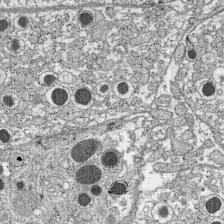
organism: C57BL Mouse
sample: Pancreatic islet